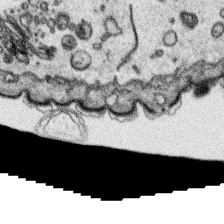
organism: Platynereis dumerilii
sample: Parapodia